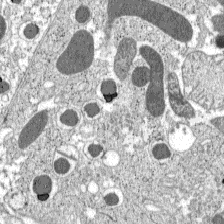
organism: C57BL Mouse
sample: Pancreatic islet